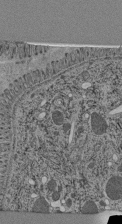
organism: C. elegans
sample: C. elegans pharynx